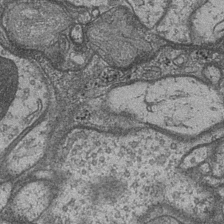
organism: Drosophila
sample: Optic medulla